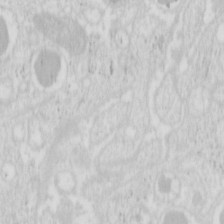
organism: Mouse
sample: Pancreas